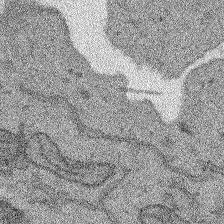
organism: Human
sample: HeLa cells